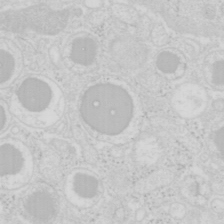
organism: Mouse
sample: Pancreas